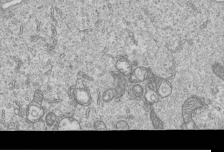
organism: Human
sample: MDA-MB-231 cells